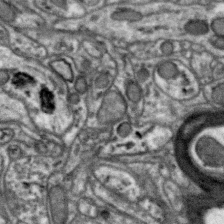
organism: Zebra finch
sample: Brain